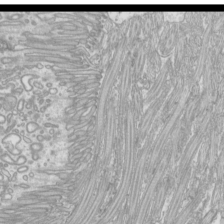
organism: Mouse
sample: Cilia; mouse epididymis